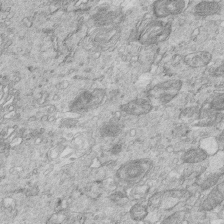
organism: Mouse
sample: Multiciliated cells